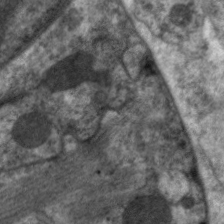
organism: C. elegans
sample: Pharynx